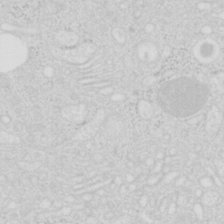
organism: Mouse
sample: Pancreas